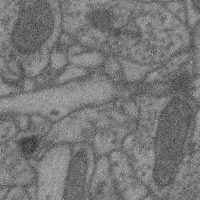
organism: Mouse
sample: Cerebral cortex